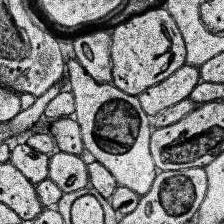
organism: Human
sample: Temporal Lobe